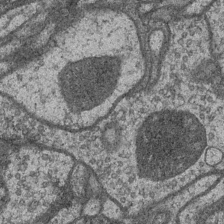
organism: Drosophila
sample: Optic medulla